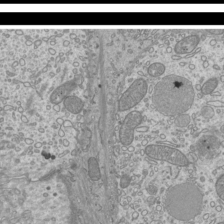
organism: Mouse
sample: Cilia; mouse epididymis